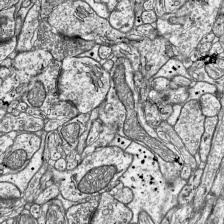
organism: Mouse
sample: Visual Cortex